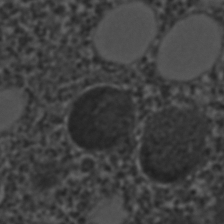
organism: C. elegans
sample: C. elegans embryo